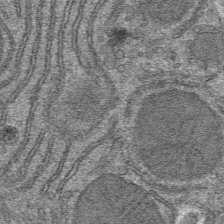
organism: Mouse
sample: Mouse hepatocytes